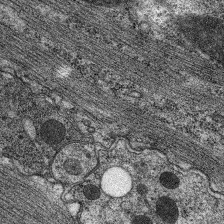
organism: C. elegans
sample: Pharynx